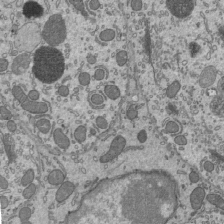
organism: Mouse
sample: Mouse epididymis efferent ductule cilia